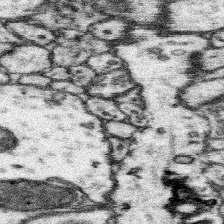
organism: Mouse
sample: Somatosensory cortex neuropil